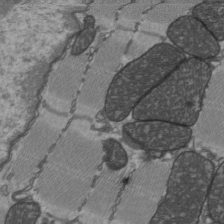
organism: C57BL Mouse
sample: Heart